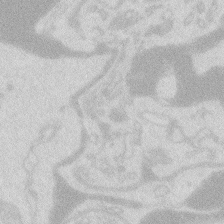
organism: Zebrafish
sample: Macrophage